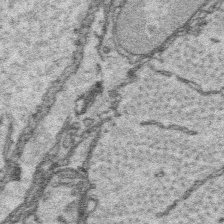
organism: Platynereis dumerilii